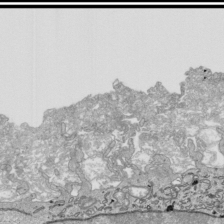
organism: Human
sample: Mitochondria in HCT116 cells